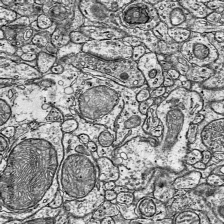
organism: Mouse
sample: Visual Cortex